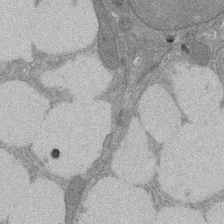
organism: Rat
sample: Salivary granule